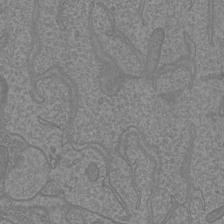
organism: Mouse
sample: Cortical neurons